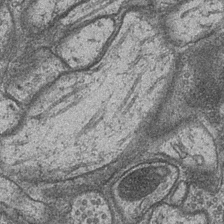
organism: Drosophila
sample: Optic medulla